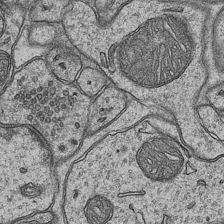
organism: Mouse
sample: CA1 Hippocampus